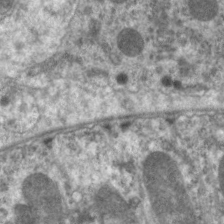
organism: C. elegans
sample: Pharynx